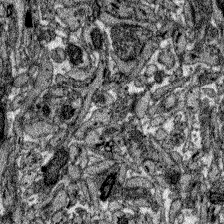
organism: Zebrafish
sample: Larval olfactory bulb